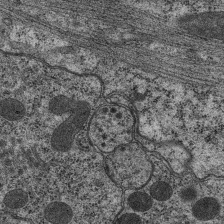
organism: C. elegans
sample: Pharynx